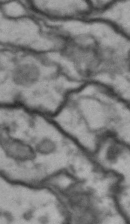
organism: Drosophila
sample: Brain